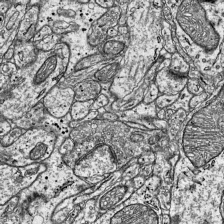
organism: Mouse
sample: Visual Cortex